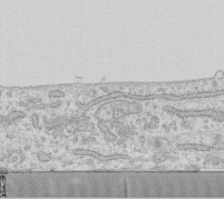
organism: Human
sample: Fibroblast cells